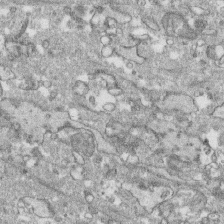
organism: Human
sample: CRL-1474